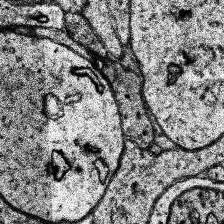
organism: Human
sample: Temporal Lobe